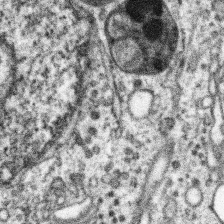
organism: Human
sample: HeLa cells